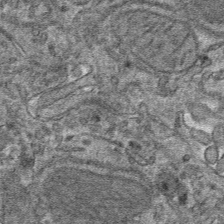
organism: Mouse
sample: Mouse hepatocytes